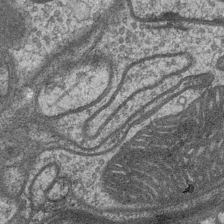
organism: Drosophila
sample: Optic medulla